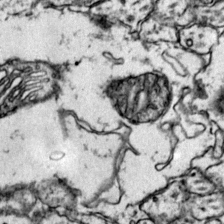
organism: Mouse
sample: Primary visual cortex